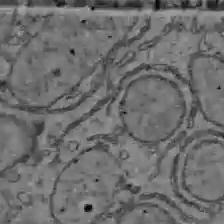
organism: C57BL Mouse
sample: Liver